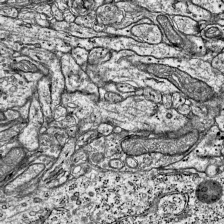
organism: Mouse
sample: Visual Cortex